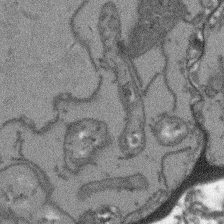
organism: Arabidopsis thaliana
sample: Root tip